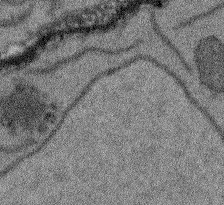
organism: Arabidopsis thaliana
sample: Root tip